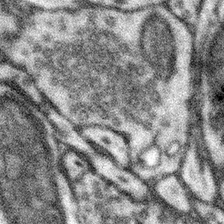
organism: Mouse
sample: Somatosensory cortex neuropil